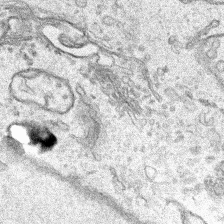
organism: Human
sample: Mitochondria in HCT116 cells